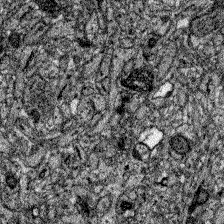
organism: Zebrafish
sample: Larval olfactory bulb